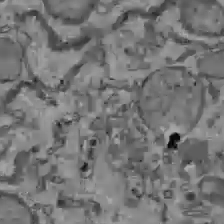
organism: C57BL Mouse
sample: Liver